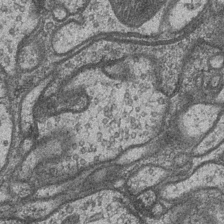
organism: Drosophila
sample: Optic medulla